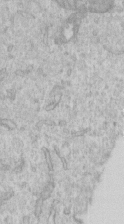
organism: Human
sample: Centriole in RPE cells